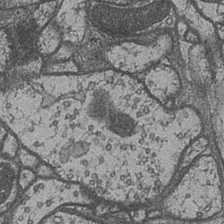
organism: Drosophila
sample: Optic medulla